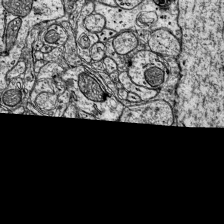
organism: Mouse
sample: Visual Cortex